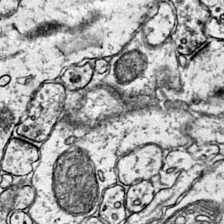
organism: Mouse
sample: Primary visual cortex